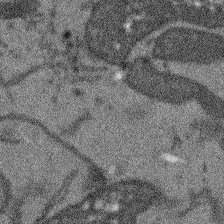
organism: Arabidopsis thaliana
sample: Root tip